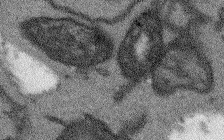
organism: Arabidopsis thaliana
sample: Root tip